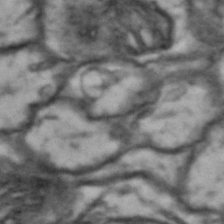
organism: Drosophila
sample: Brain